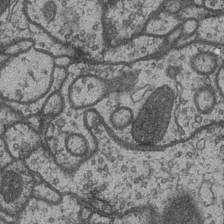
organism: Drosophila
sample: Optic medulla